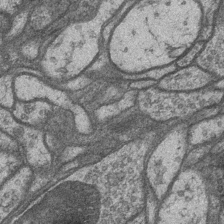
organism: Drosophila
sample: Optic medulla